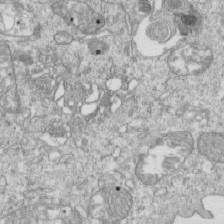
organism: Mouse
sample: Activated OT-1 CD8+ T cells